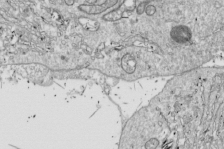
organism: Drosophila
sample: Cell division; meiosis; drosophila spermatocytes